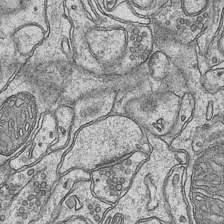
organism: Mouse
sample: CA1 Hippocampus